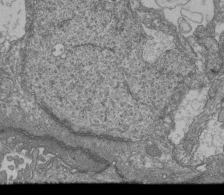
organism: Human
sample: Retinal organoid Rod and Cone cells